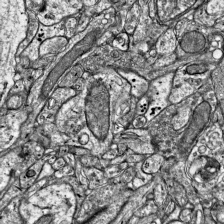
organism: Mouse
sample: Visual Cortex